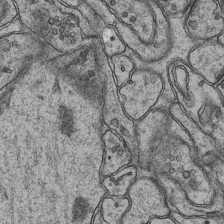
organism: Mouse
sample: CA1 Hippocampus